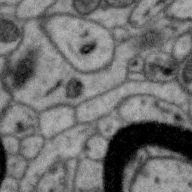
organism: Zebra finch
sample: Brain